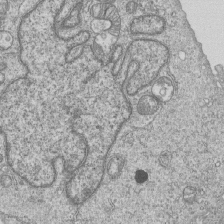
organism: Human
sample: MDA-MB-231 cells